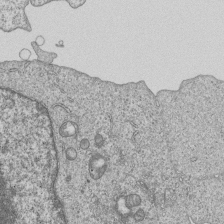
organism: Human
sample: MDA-MB-231 cells